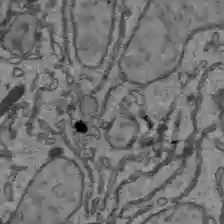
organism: C57BL Mouse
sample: Liver